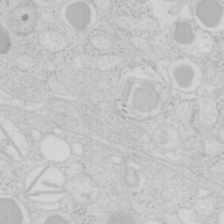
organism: Mouse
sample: Pancreas